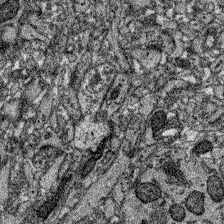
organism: Zebrafish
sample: Larval olfactory bulb